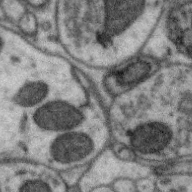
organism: Zebra finch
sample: Brain